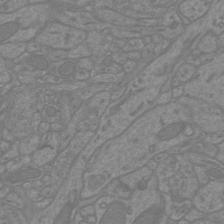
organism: Mouse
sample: Cortical neurons